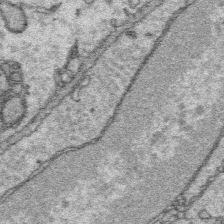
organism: Platynereis dumerilii